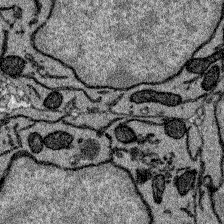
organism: Zebrafish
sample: Larval olfactory bulb